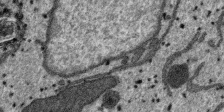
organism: Human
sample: Lung epithelial cells, uninfected (mock) control